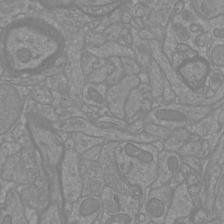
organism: Mouse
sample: Cortical neurons